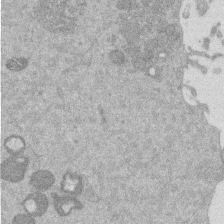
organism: Mouse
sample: Dividing mouse embryo 1 cell stage